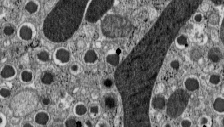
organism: C57BL Mouse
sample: Pancreatic islet